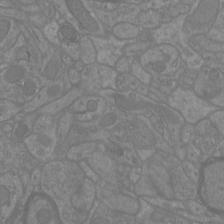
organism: Mouse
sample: Cortical neurons